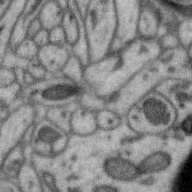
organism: Zebra finch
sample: Brain